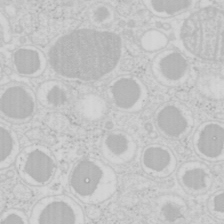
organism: Mouse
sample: Pancreas